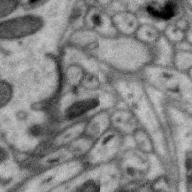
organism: Zebra finch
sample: Brain